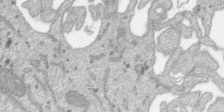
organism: Human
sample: Lung epithelial cells infected with SARS-CoV-2